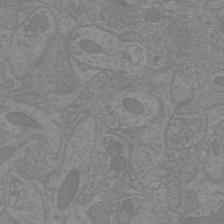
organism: Mouse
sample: Cortical neurons